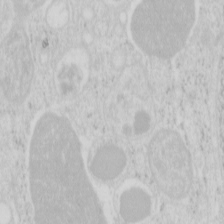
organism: Mouse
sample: Pancreas